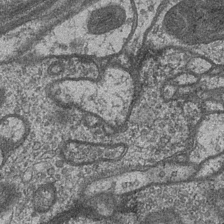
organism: Drosophila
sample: Optic medulla